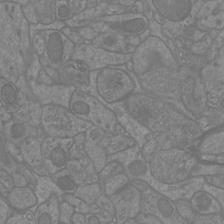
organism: Mouse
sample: Cortical neurons